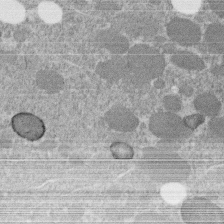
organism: C. elegans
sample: C. elegans embryo early stage